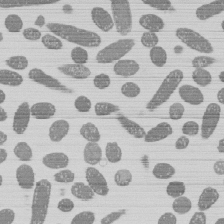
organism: E. coli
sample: Bacterial nucleoid